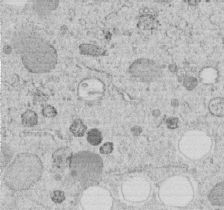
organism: C. elegans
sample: C. elegans embryo early stage